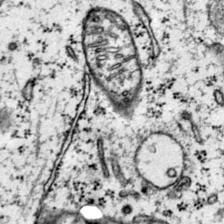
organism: Mouse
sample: Primary visual cortex